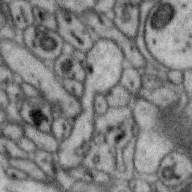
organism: Zebra finch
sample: Brain